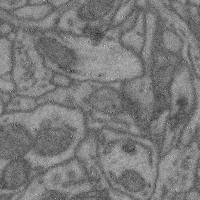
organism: Mouse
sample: Cerebral cortex